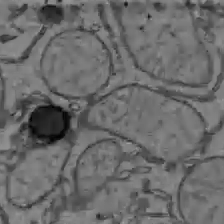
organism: C57BL Mouse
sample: Liver